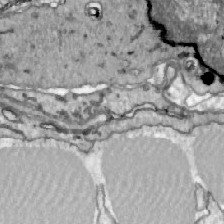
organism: Zebrafish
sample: Actinotrichia fibers